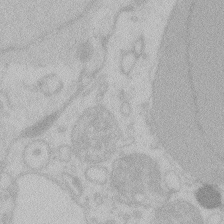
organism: Zebrafish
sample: Macrophage infected with Toxoplasma gondii